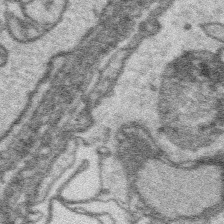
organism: Platynereis dumerilii